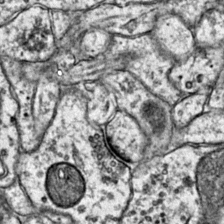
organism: Mouse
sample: Primary visual cortex